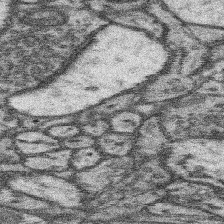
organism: Mouse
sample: Somatosensory cortex neuropil